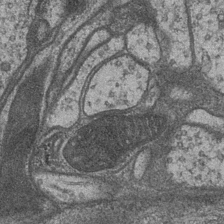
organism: Drosophila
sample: Optic medulla